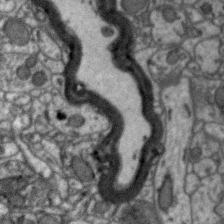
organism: Zebra finch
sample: Brain